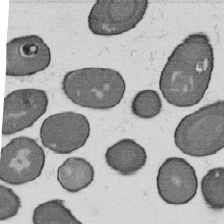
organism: B. subtilis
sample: Bacterial spore